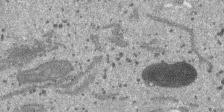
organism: Human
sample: Lung epithelial cells infected with SARS-CoV-2